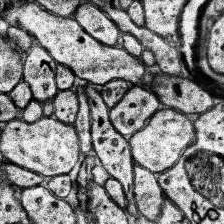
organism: Human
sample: Temporal Lobe